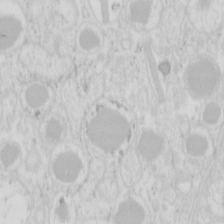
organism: Mouse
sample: Pancreas